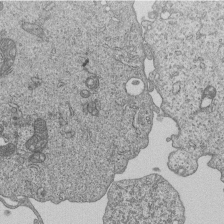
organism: Human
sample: MDA-MB-231 cells